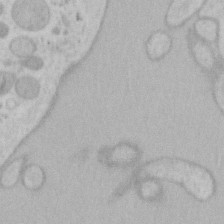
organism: Human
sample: HeLa cells